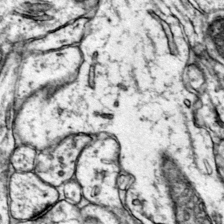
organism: Mouse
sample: Primary visual cortex